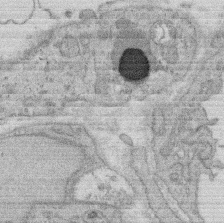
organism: Rat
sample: Salivary granule